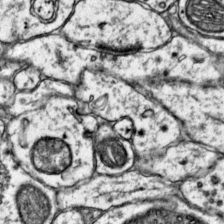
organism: Mouse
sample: Primary visual cortex